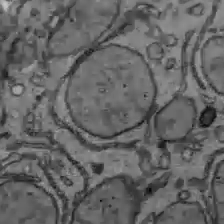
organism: C57BL Mouse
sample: Liver